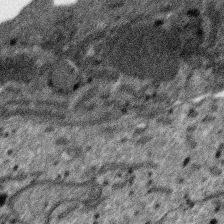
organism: Human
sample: Lung epithelial cells infected with SARS-CoV-2